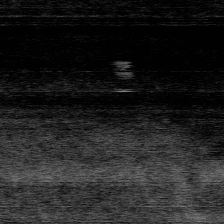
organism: Human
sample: HeLa cells